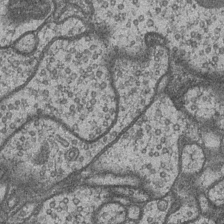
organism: Drosophila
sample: Optic medulla